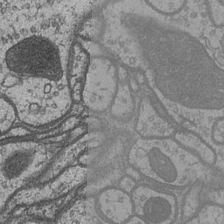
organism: Drosophila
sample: Optic medulla